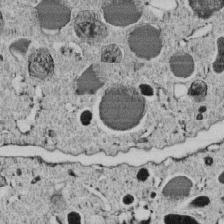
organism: C. elegans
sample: C. elegans embryo early stage